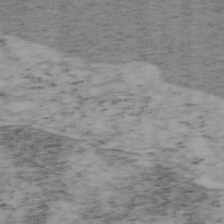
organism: Mouse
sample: OT-I killer T cells with ID8 ovarian cancer cells